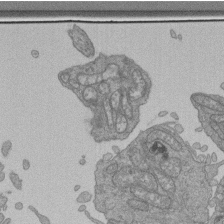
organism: Human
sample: Retinal organoid Rod and Cone cells